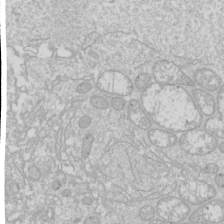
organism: Drosophila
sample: Cell division; meiosis; drosophila spermatocytes